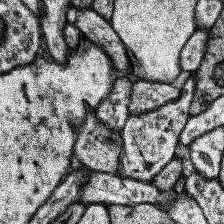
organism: Human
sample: Temporal Lobe